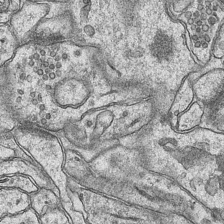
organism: Mouse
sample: CA1 Hippocampus